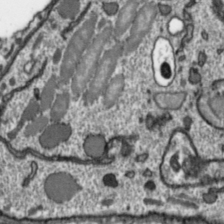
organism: Toxoplasma gondii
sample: Parasites in a vacuole inside a host cell